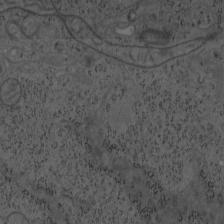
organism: Mouse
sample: OT-I killer T cells with ID8 ovarian cancer cells